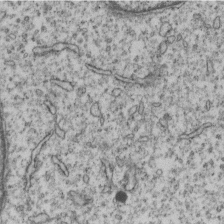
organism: Human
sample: MDA-MB-231 cells